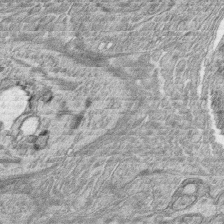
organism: Zebrafish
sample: synaptic ribbons in rod cells and cone cells